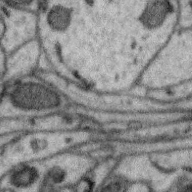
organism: Zebra finch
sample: Brain